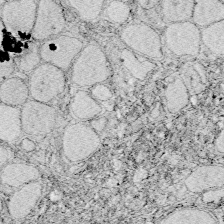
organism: Zebrafish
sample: Whole-Brain